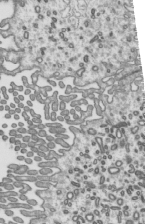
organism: Mouse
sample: Mouse epididymis efferent ductule cilia